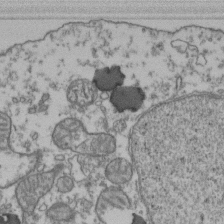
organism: Human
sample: Activated Jurkat CD4+ T cells